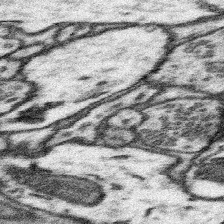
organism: Mouse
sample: Somatosensory cortex neuropil